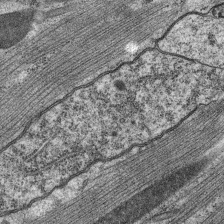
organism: C. elegans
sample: Pharynx